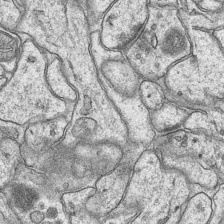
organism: Mouse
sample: CA1 Hippocampus